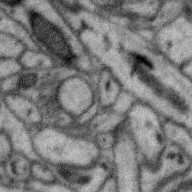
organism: Zebra finch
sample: Brain